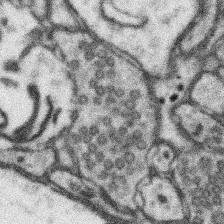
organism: Mouse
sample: Somatosensory cortex neuropil